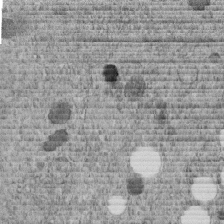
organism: C. elegans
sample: C. elegans embryo early stage